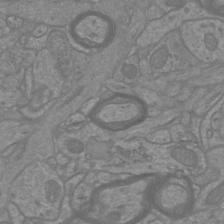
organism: Mouse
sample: Cortical neurons